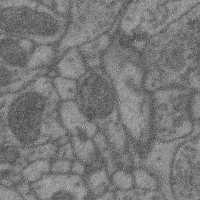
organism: Mouse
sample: Cerebral cortex